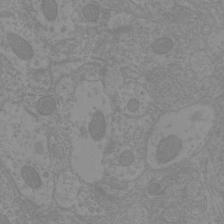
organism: Mouse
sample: Cortical neurons